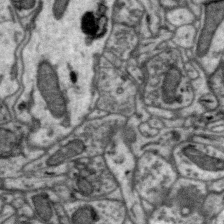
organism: Zebra finch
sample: Brain